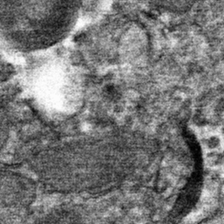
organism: Mouse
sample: Mouse hepatocytes